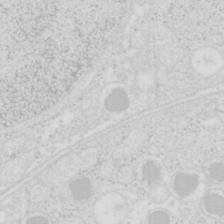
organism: Mouse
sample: Pancreas